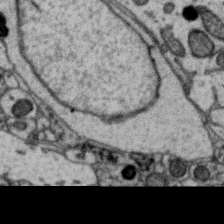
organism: Zebra finch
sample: Brain